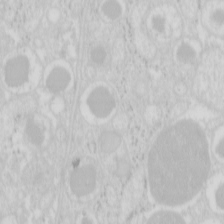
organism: Mouse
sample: Pancreas